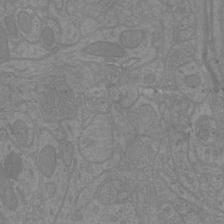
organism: Mouse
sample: Cortical neurons